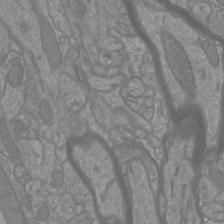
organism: Mouse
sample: Cortical neurons